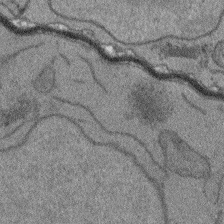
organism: Arabidopsis thaliana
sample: Root tip